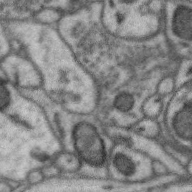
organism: Zebra finch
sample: Brain